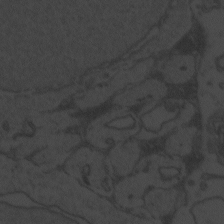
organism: Zebrafish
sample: Macrophage infected with Toxoplasma gondii